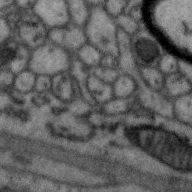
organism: Zebra finch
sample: Brain